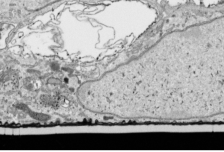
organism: Human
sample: Mitochondria in HCT116 cells